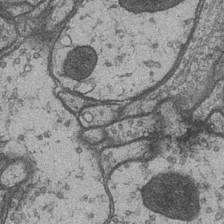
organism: Drosophila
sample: Optic medulla